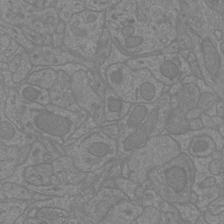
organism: Mouse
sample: Cortical neurons